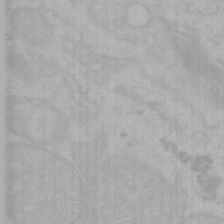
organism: Mouse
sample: Choroid plexus